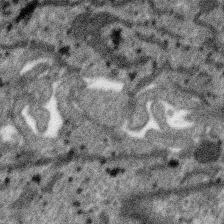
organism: Human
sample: Lung epithelial cells infected with SARS-CoV-2